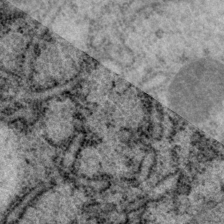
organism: P. pacificus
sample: Pharynx